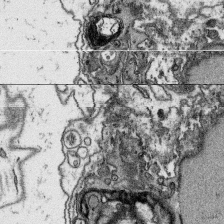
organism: Platynereis dumerilii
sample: Parapodia